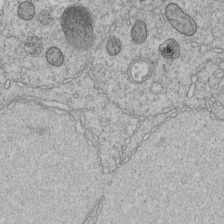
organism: C. elegans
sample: C. elegans embryo early stage